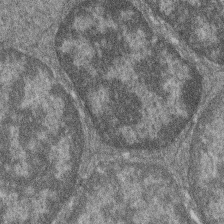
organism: Zebrafish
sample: Cilia; retinal pigment epithelium